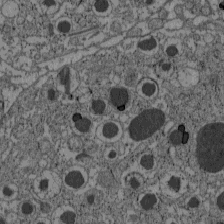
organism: C57BL Mouse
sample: Pancreatic islet